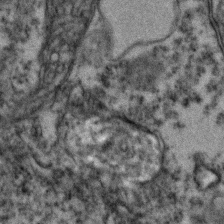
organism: Zebrafish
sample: Zebrafish embryo